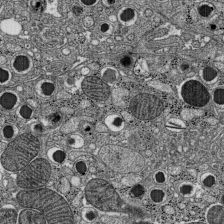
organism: C57BL Mouse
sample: Pancreatic islet